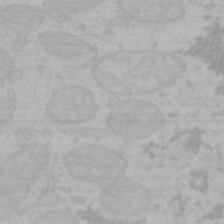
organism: Mouse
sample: Choroid plexus